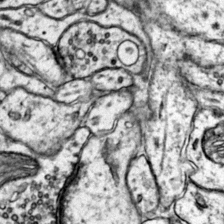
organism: Mouse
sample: Primary visual cortex